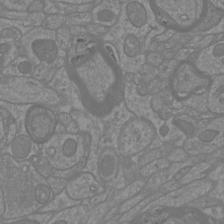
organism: Mouse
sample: Cortical neurons